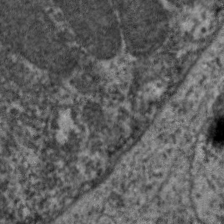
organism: C. elegans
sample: Pharynx